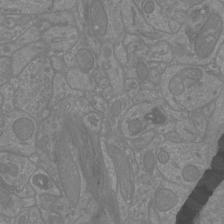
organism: Mouse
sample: Cortical neurons